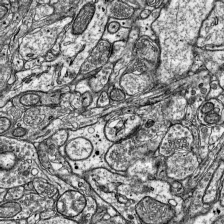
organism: Mouse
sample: Visual Cortex